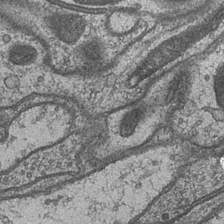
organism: Drosophila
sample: Optic medulla